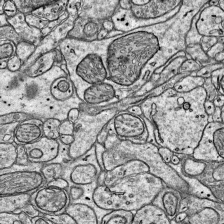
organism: Mouse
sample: Visual Cortex